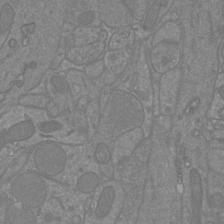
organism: Mouse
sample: Cortical neurons